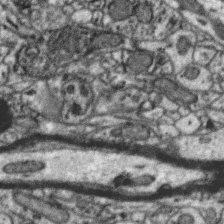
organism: Zebra finch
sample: Brain